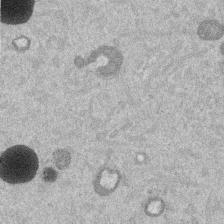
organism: Mouse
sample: Dividing mouse embryo 1 cell stage